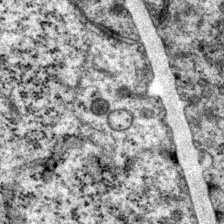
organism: P. pacificus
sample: Pharynx